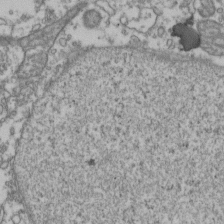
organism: Human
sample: Activated Jurkat CD4+ T cells